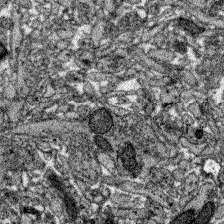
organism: Zebrafish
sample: Larval olfactory bulb